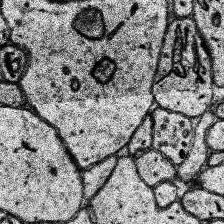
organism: Human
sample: Temporal Lobe